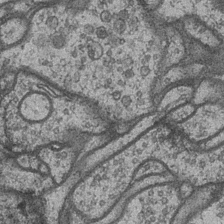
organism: Drosophila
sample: Optic medulla